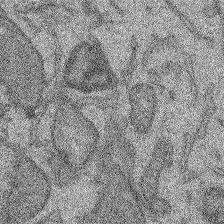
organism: Human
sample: HeLa cells